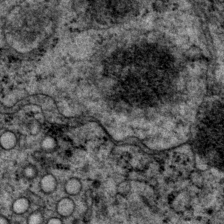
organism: P. pacificus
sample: Pharynx